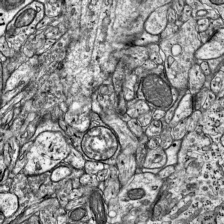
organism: Mouse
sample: Visual Cortex